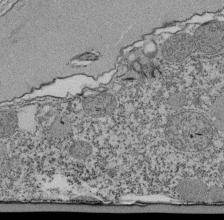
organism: Tetrahymena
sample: Cilia in tetrahymena